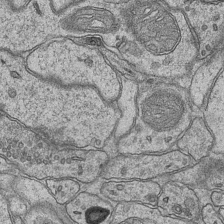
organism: Mouse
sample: CA1 Hippocampus